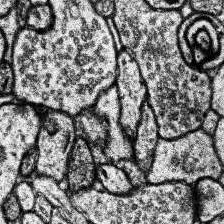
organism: Human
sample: Temporal Lobe